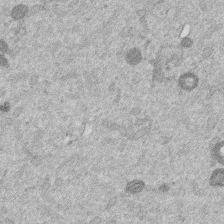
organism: Mouse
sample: Dividing mouse embryo 1 cell stage